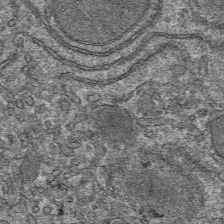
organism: Mouse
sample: Mouse hepatocytes